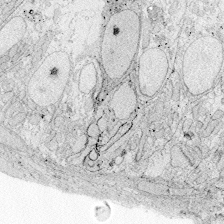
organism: Zebrafish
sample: Whole-Brain